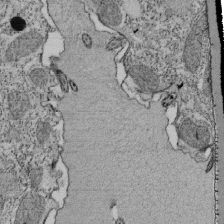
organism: Tetrahymena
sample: Cilia in tetrahymena